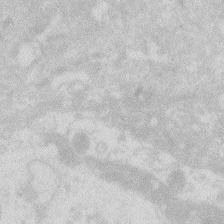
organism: Zebrafish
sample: Macrophage